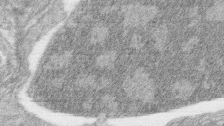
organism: Zebrafish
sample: synaptic ribbons in rod cells and cone cells